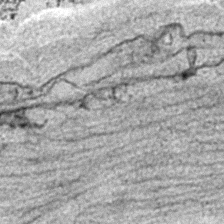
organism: C. elegans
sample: C. elegans embryo